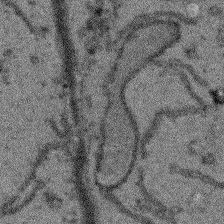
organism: Arabidopsis thaliana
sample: Root tip